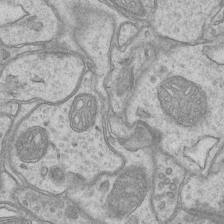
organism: Mouse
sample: CA1 Hippocampus